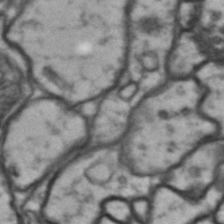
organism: Drosophila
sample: Brain